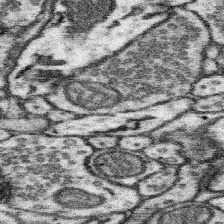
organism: Mouse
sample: Somatosensory cortex neuropil